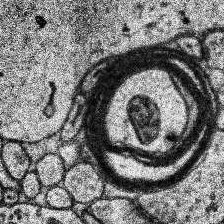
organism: Human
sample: Temporal Lobe